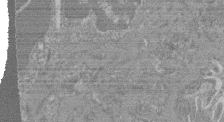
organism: Mouse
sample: Glomerulus